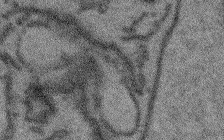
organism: Arabidopsis thaliana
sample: Root tip